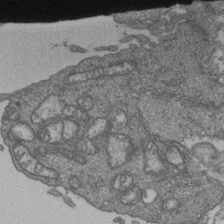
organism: Human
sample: Retinal organoid Rod and Cone cells